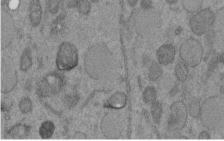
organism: C. elegans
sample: C. elegans embryo early stage